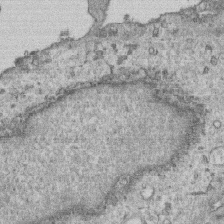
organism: Human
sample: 1205lu cells